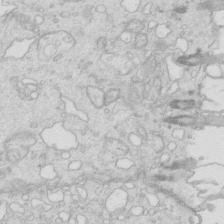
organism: Mouse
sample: Multiciliated cells